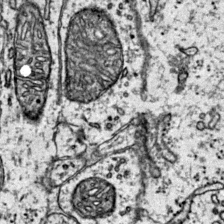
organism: Mouse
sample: Primary visual cortex